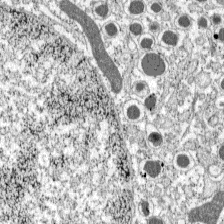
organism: C57BL Mouse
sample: Pancreatic islet